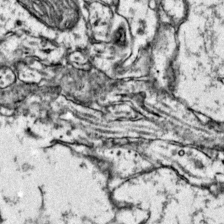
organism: Mouse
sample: Primary visual cortex